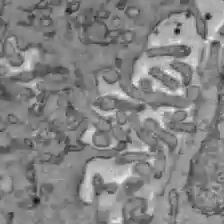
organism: C57BL Mouse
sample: Liver